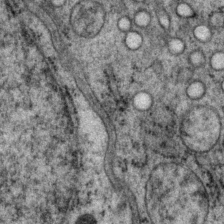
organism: P. pacificus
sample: Pharynx